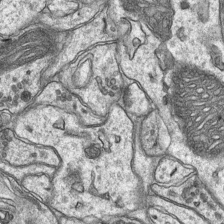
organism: Mouse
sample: CA1 Hippocampus